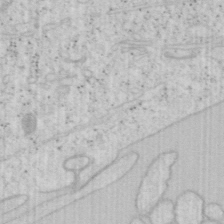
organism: Human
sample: HeLa cells